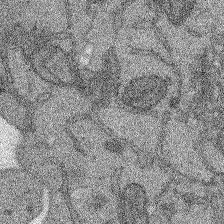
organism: Human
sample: HeLa cells